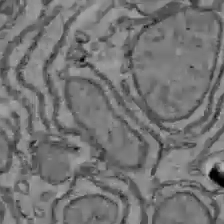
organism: C57BL Mouse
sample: Liver